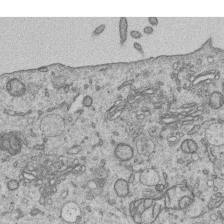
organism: Human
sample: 1205lu cells